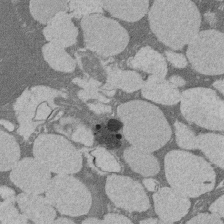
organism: Rat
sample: Salivary granule